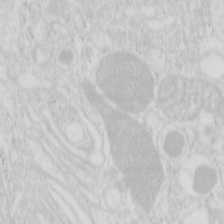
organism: Mouse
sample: Pancreas